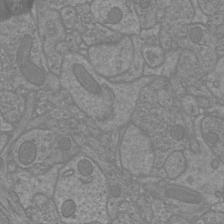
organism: Mouse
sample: Cortical neurons